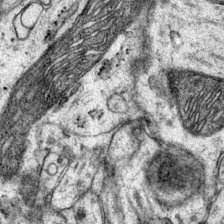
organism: Mouse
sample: Primary visual cortex